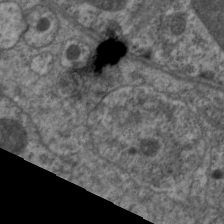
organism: C. elegans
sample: Pharynx